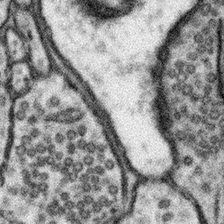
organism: Mouse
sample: Somatosensory cortex neuropil